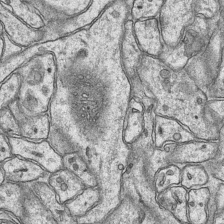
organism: Mouse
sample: CA1 Hippocampus